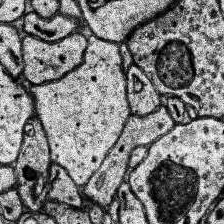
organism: Human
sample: Temporal Lobe